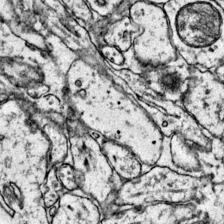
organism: Mouse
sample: Primary visual cortex